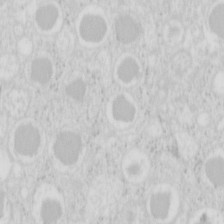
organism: Mouse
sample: Pancreas